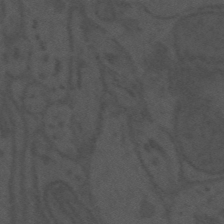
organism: Mouse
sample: Suprachiasmatic nucleus